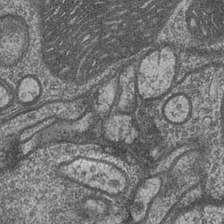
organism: Drosophila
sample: Optic medulla